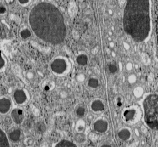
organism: C57BL Mouse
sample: Pancreatic islet